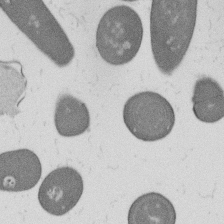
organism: B. subtilis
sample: Bacterial spore